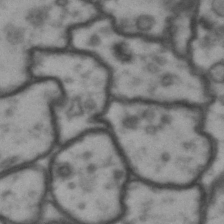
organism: Drosophila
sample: Brain